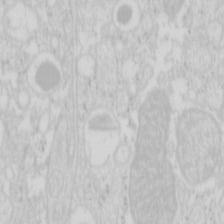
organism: Mouse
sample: Pancreas